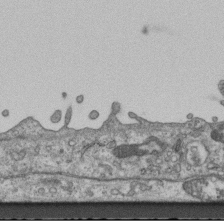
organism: Mouse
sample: Centriole in ependymal cells